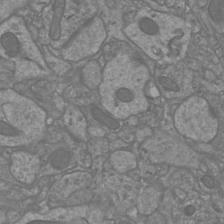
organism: Mouse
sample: Cortical neurons